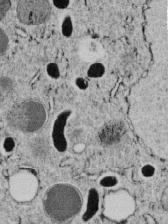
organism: C. elegans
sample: C. elegans embryo early stage